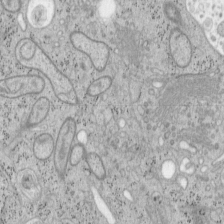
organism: Mouse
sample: OT-I killer T cells with ID8 ovarian cancer cells